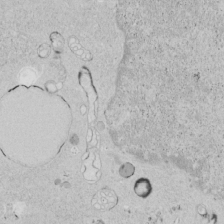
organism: Human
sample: Mitochondria in HCT116 cells